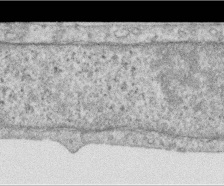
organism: Human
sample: Centriole in RPE cells